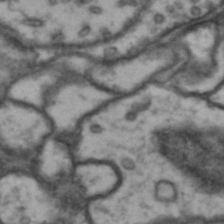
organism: Drosophila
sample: Brain